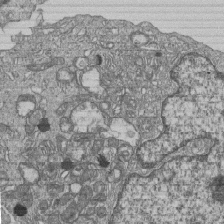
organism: Human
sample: MDA-MB-231 cells